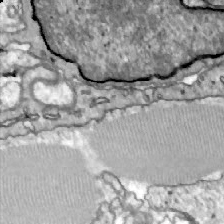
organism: Zebrafish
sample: Actinotrichia fibers